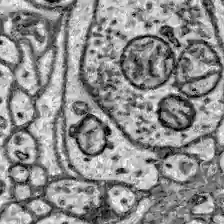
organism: Zebrafish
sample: Brain